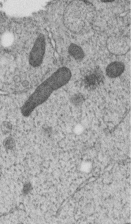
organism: C. elegans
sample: C. elegans embryo early stage